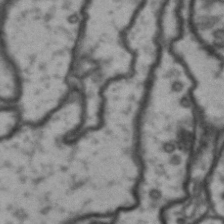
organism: Drosophila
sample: Brain